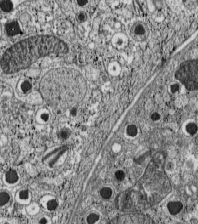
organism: C57BL Mouse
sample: Pancreatic islet